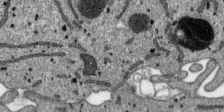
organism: Human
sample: Lung epithelial cells, uninfected (mock) control